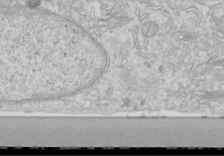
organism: Human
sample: Centriole in RPE cells